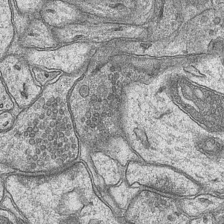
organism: Mouse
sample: CA1 Hippocampus